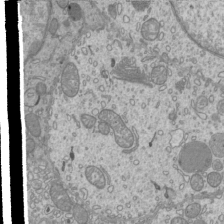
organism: Mouse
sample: Cilia; mouse epididymis